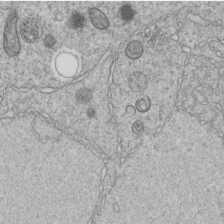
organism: C. elegans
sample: C. elegans embryo early stage